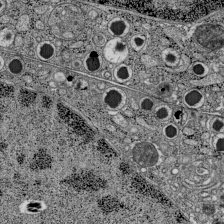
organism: C57BL Mouse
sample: Pancreatic islet